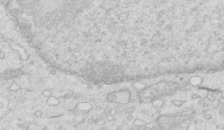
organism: Mouse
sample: Multiciliated cells